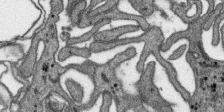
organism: Human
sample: Lung epithelial cells, uninfected (mock) control